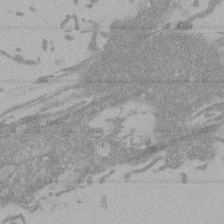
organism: Mouse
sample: ED-1 cell nuclei; centrioles